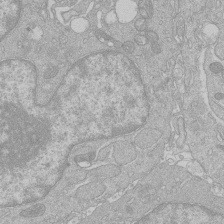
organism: Human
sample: Macrophage cells